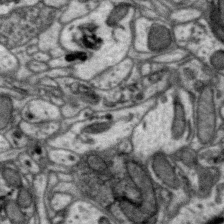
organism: Zebra finch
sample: Brain